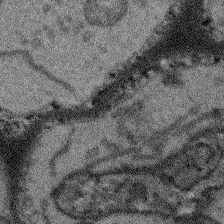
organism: Arabidopsis thaliana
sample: Root tip